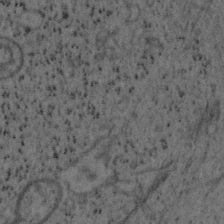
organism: Human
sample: HeLa cells